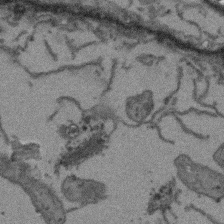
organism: Arabidopsis thaliana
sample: Root tip